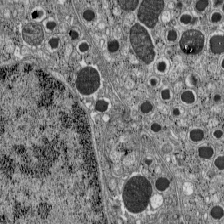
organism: C57BL Mouse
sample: Pancreatic islet